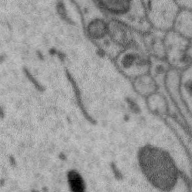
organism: Zebra finch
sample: Brain